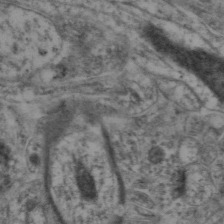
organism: Mouse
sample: Neocortex